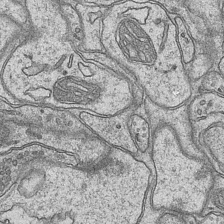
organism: Mouse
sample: CA1 Hippocampus